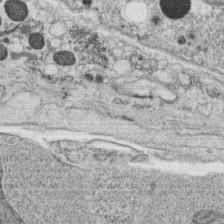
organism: C. elegans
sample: C. elegans oocyte; sperm cells